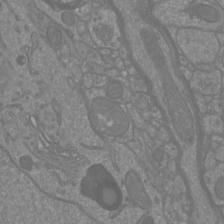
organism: Mouse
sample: Cortical neurons